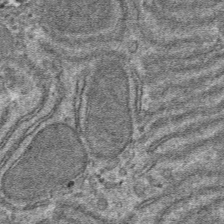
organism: Mouse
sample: Mouse hepatocytes